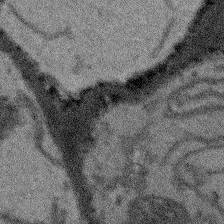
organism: Arabidopsis thaliana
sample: Root tip